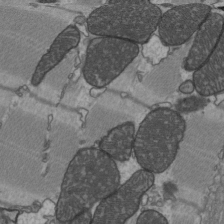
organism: C57BL Mouse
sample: Heart